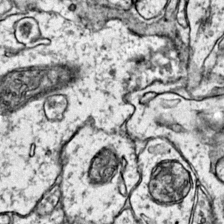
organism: Mouse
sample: Primary visual cortex